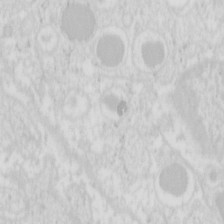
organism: Mouse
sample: Pancreas